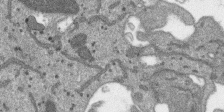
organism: Human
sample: Lung epithelial cells infected with SARS-CoV-2